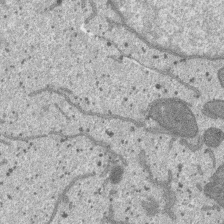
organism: Human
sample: Lung epithelial cells infected with SARS-CoV-2